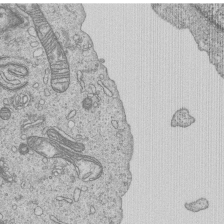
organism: Human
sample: MDA-MB-231 cells